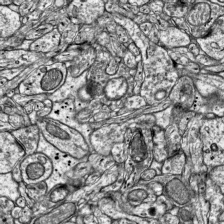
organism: Mouse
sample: Visual Cortex